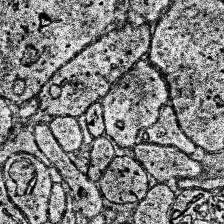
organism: Human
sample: Temporal Lobe